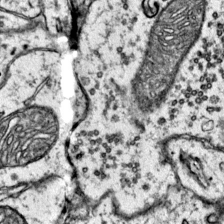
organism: Mouse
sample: Primary visual cortex